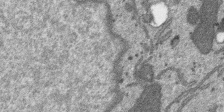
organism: Human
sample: Lung epithelial cells infected with SARS-CoV-2